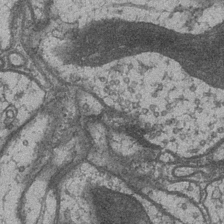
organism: Drosophila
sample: Optic medulla